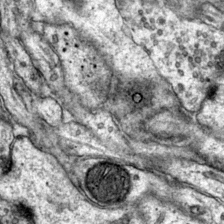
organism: Mouse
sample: Primary visual cortex